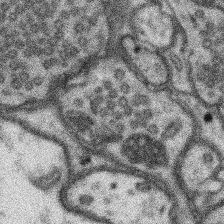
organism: Mouse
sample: Somatosensory cortex neuropil